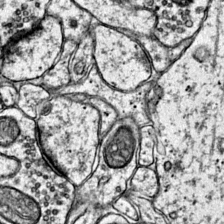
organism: Mouse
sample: Primary visual cortex